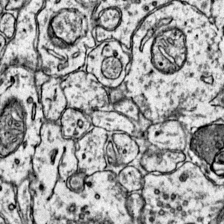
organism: Mouse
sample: Primary visual cortex